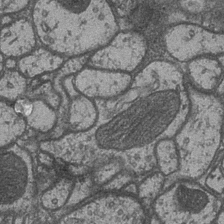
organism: Drosophila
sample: Optic medulla